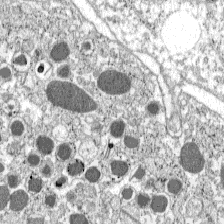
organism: C57BL Mouse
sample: Pancreatic islet